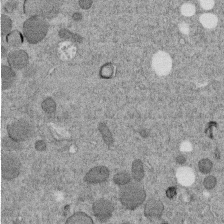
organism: C. elegans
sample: C. elegans embryo early stage